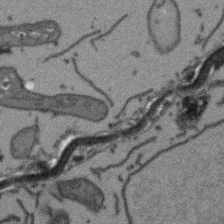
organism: Arabidopsis thaliana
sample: Root tip